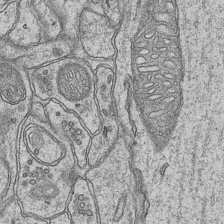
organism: Mouse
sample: CA1 Hippocampus